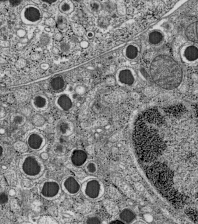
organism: C57BL Mouse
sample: Pancreatic islet